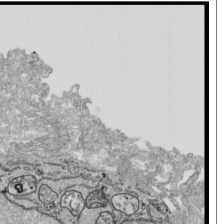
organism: Human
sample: Mitochondria in HCT116 cells